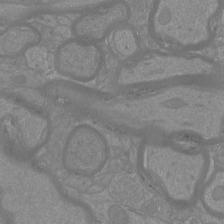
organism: Mouse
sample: Cortical neurons